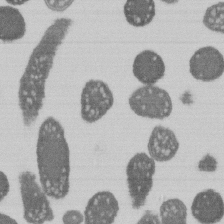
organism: E. coli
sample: Bacterial nucleoid